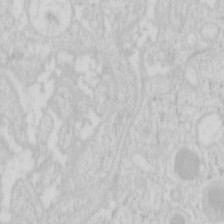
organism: Mouse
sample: Pancreas